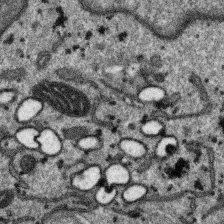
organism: Human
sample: Lung epithelial cells infected with SARS-CoV-2